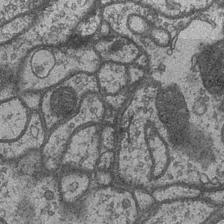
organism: Drosophila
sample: Optic medulla